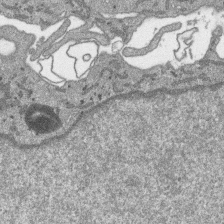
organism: Human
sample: Lung epithelial cells infected with SARS-CoV-2